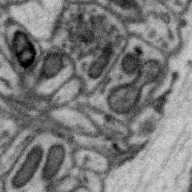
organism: Zebra finch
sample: Brain